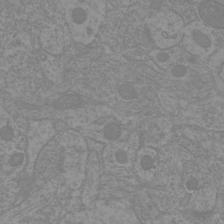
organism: Mouse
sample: Cortical neurons